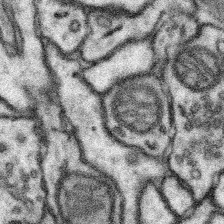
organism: Mouse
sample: Somatosensory cortex neuropil